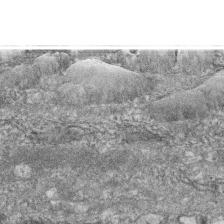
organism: Zebrafish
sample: Cilia; retinal pigment epithelium